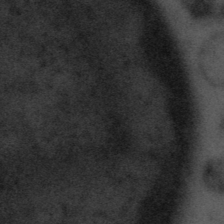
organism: Tuwongella immobilis